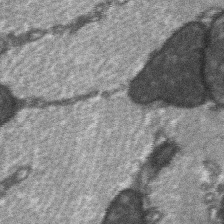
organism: C57BL Mouse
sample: Soleus